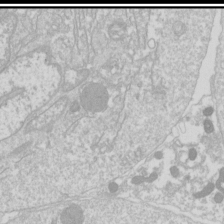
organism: Drosophila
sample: Cell division; meiosis; drosophila spermatocytes